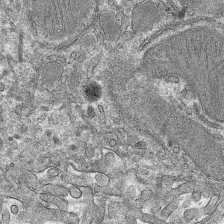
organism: Mouse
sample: Mouse hepatocytes